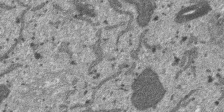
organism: Human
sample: Lung epithelial cells infected with SARS-CoV-2